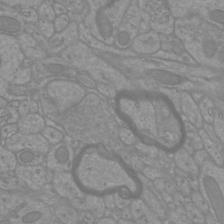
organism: Mouse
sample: Cortical neurons